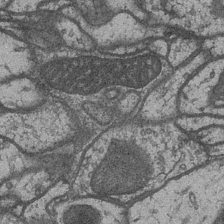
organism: Drosophila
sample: Optic medulla